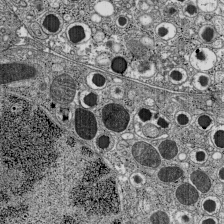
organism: C57BL Mouse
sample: Pancreatic islet